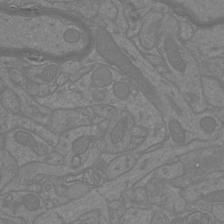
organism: Mouse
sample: Cortical neurons